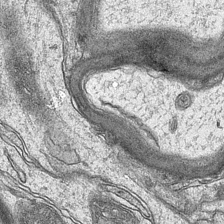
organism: Mouse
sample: CA1 Hippocampus